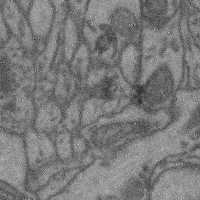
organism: Mouse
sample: Cerebral cortex